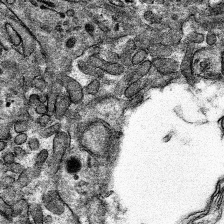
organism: Mouse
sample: Mouse hepatocytes